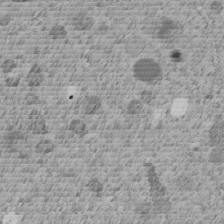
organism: C. elegans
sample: C. elegans embryo early stage